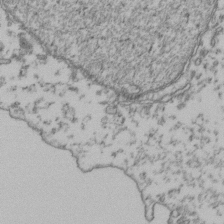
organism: Human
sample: Activated Jurkat CD4+ T cells